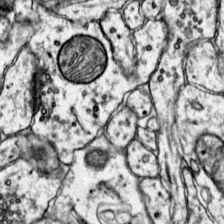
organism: Mouse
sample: Primary visual cortex